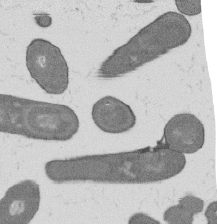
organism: B. subtilis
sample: Bacterial spore